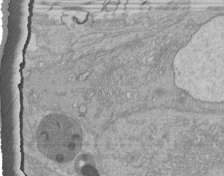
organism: Human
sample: Retinal organoid Rod and Cone cells